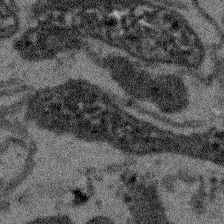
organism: Arabidopsis thaliana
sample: Root tip